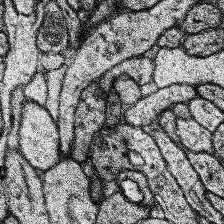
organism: Human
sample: Temporal Lobe